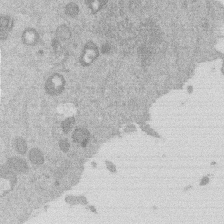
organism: Mouse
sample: Dividing mouse embryo 1 cell stage